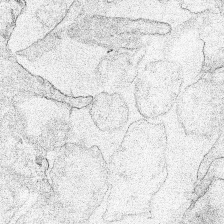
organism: Human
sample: Mitochondria in HCT116 cells